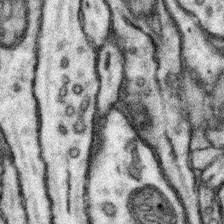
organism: Mouse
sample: Somatosensory cortex neuropil